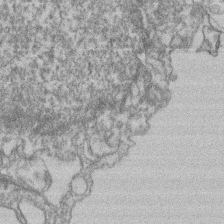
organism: Mouse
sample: T cell stromal cell synapse